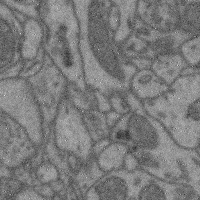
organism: Mouse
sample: Cerebral cortex